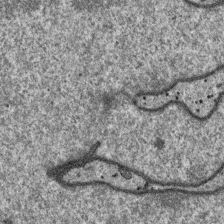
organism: Human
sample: Lung epithelial cells, uninfected (mock) control